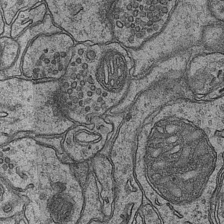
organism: Mouse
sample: CA1 Hippocampus